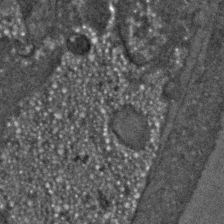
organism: C. elegans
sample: C. elegans embryo